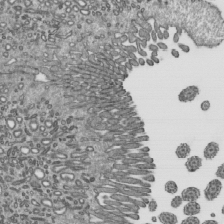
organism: Mouse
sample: Mouse epididymis efferent ductule cilia